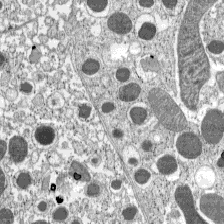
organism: C57BL Mouse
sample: Pancreatic islet